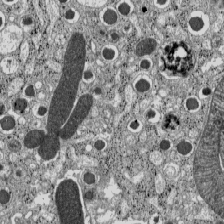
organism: C57BL Mouse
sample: Pancreatic islet